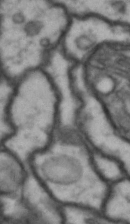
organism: Drosophila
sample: Brain